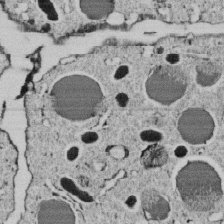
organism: C. elegans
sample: C. elegans embryo early stage